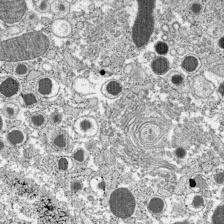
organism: C57BL Mouse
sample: Pancreatic islet